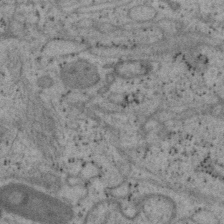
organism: Human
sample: HeLa cells